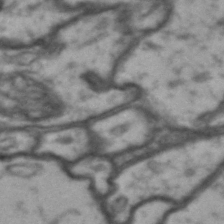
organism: Drosophila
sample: Brain